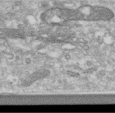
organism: Human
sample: Centriole in RPE cells